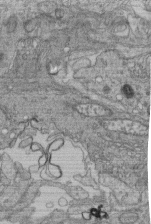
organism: Human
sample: Retinal organoid Rod and Cone cells